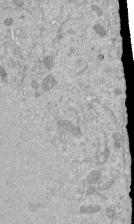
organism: Mouse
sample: ED-1 cell nuclei; centrioles